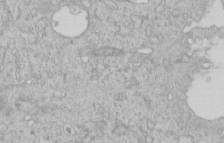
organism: Human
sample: Centriole in RPE cells